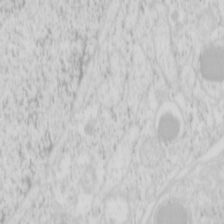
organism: Mouse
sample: Pancreas